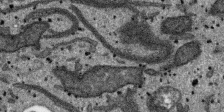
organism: Human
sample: Lung epithelial cells, uninfected (mock) control